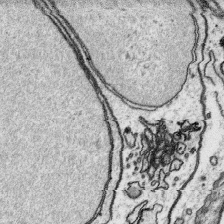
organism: Platynereis dumerilii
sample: Parapodia